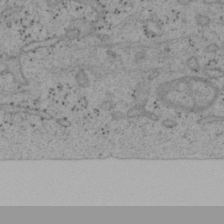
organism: Human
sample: HeLa cells